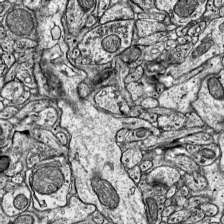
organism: Mouse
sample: Visual Cortex